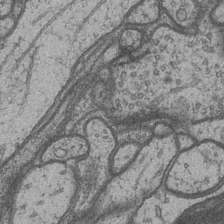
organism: Drosophila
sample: Optic medulla